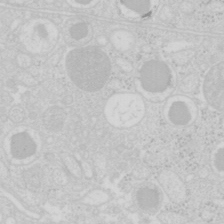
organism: Mouse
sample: Pancreas